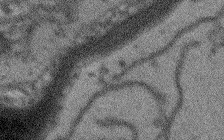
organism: Arabidopsis thaliana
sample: Root tip